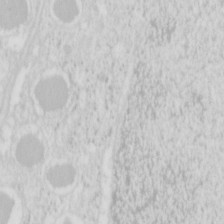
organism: Mouse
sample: Pancreas